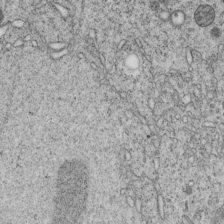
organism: C. elegans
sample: C. elegans embryo early stage